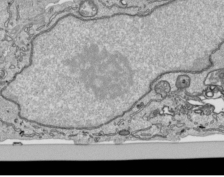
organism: Human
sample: Mitochondria in HCT116 cells